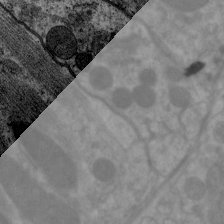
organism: C. elegans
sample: Pharynx